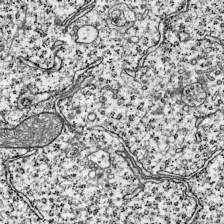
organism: Mouse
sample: Visual Cortex